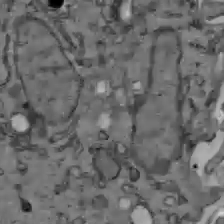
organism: C57BL Mouse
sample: Liver